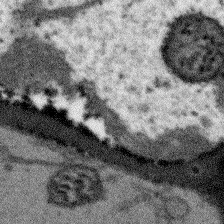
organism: Arabidopsis thaliana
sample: Root tip